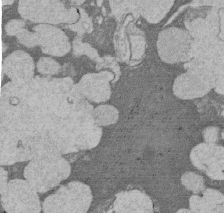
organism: Rat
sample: Salivary granule